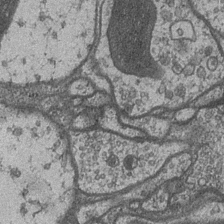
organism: Drosophila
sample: Optic medulla